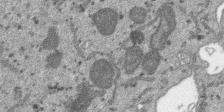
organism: Human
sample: Lung epithelial cells infected with SARS-CoV-2